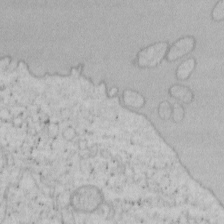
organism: Human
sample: HeLa cells